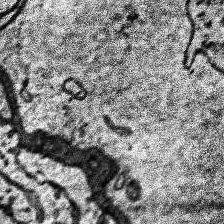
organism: Human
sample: Temporal Lobe